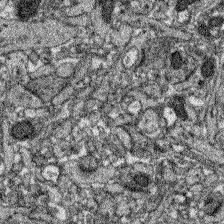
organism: Zebrafish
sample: Larval olfactory bulb